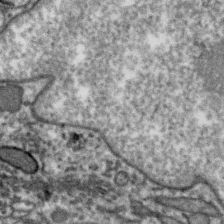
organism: Zebra finch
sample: Brain